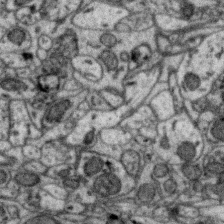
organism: Zebra finch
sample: Brain